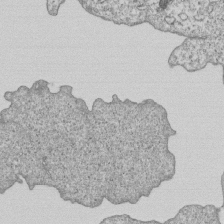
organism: Human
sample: MDA-MB-231 cells